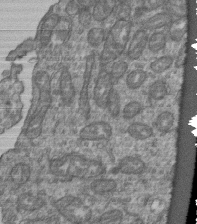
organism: Human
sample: Retinal organoid Rod and Cone cells